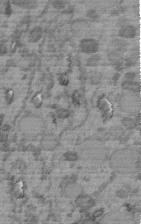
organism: C. elegans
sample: C. elegans embryo early stage